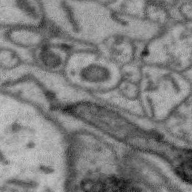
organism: Zebra finch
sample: Brain